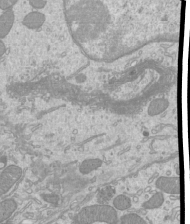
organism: Mouse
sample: Cilia; mouse epididymis